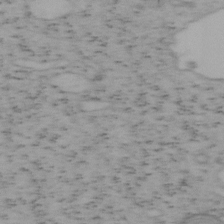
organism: Mouse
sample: OT-I killer T cells with ID8 ovarian cancer cells